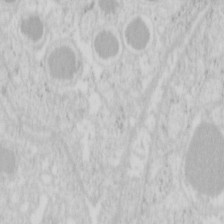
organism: Mouse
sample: Pancreas